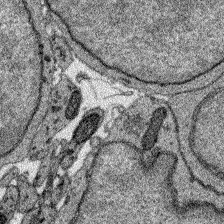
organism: Zebrafish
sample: Larval olfactory bulb